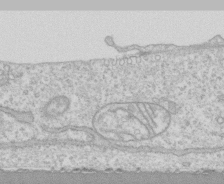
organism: Human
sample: CRL-1474